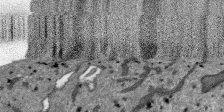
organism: Human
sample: Lung epithelial cells, uninfected (mock) control